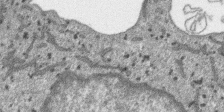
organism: Human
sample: Lung epithelial cells infected with SARS-CoV-2